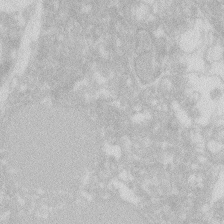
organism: Zebrafish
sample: Macrophage